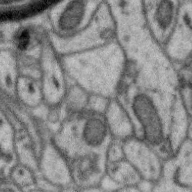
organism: Zebra finch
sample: Brain